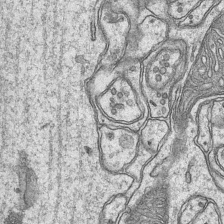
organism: Mouse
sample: CA1 Hippocampus